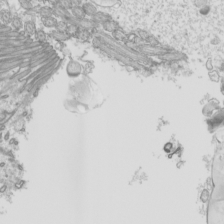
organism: Mouse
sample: Cilia; mouse epididymis